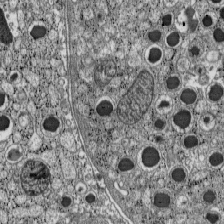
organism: C57BL Mouse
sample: Pancreatic islet